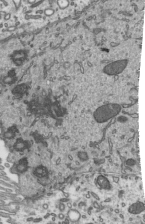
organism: Mouse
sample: Mouse epididymis efferent ductule cilia